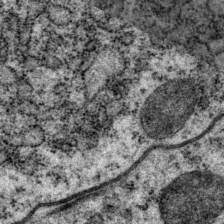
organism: P. pacificus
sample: Pharynx